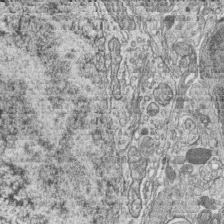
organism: Zebrafish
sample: synaptic ribbons in rod cells and cone cells